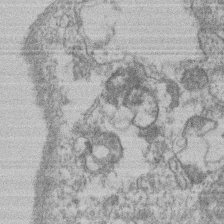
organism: Mouse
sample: T cell stromal cell synapse